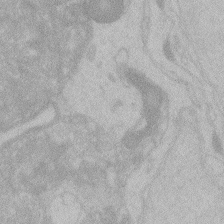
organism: Zebrafish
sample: Macrophage infected with Toxoplasma gondii